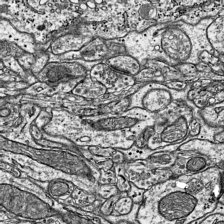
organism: Mouse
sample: Visual Cortex